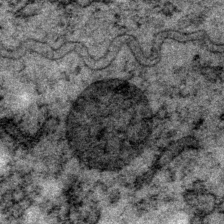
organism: P. pacificus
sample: Pharynx